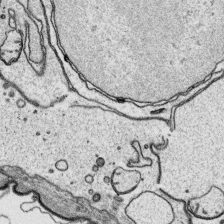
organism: Platynereis dumerilii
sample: Parapodia